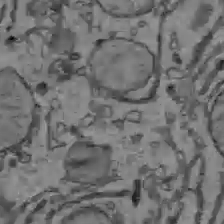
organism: C57BL Mouse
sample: Liver